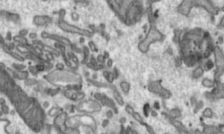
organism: Toxoplasma gondii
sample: Parasites in a vacuole inside a host cell